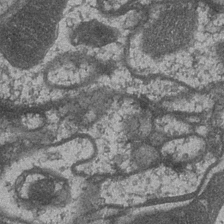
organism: Drosophila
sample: Optic medulla